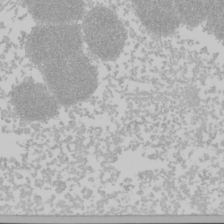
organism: Mouse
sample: Cancer cell death in ED-1 cells